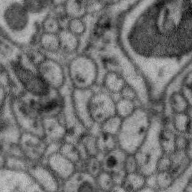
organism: Zebra finch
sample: Brain